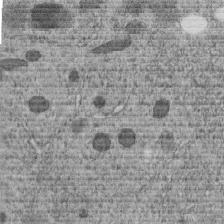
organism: C. elegans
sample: C. elegans embryo early stage